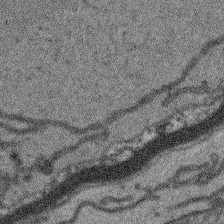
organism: Arabidopsis thaliana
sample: Root tip